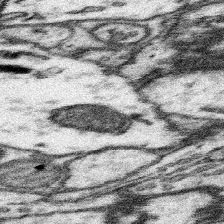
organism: Mouse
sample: Somatosensory cortex neuropil